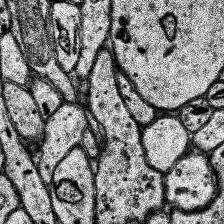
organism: Human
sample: Temporal Lobe